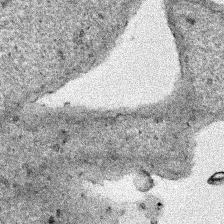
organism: Human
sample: Mitochondria in HCT116 cells